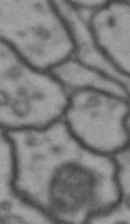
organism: Drosophila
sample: Brain